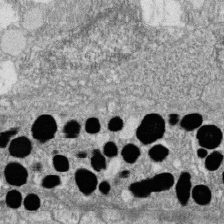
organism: Zebrafish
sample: Cilia; retinal pigment epithelium